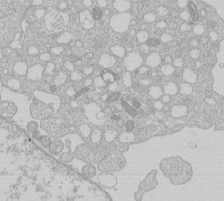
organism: Human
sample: Macrophage cells